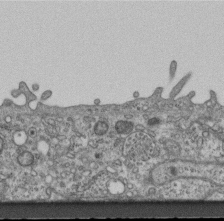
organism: Mouse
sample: Centriole in ependymal cells